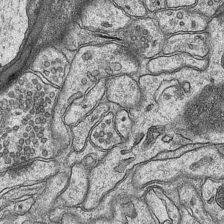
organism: Mouse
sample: CA1 Hippocampus